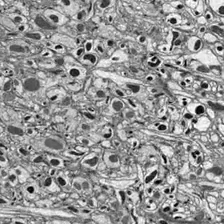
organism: Drosophila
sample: Optic lobe